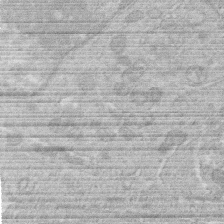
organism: Human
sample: Macrophage cells